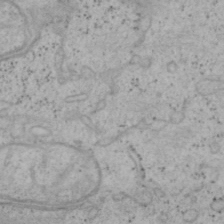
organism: Human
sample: HeLa cells